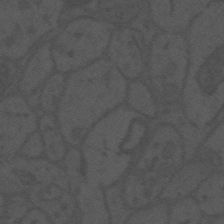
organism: Mouse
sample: Suprachiasmatic nucleus